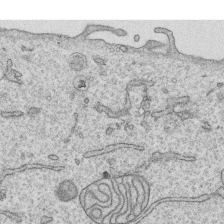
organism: Human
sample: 1205lu cells